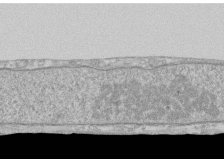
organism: Human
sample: CRL-1474